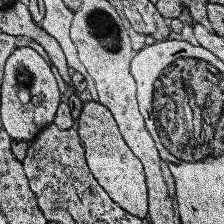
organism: Human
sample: Temporal Lobe